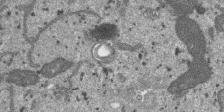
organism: Human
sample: Lung epithelial cells infected with SARS-CoV-2